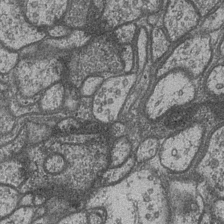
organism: Drosophila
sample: Optic medulla